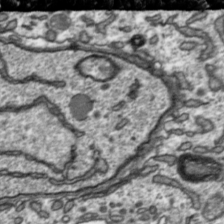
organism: Toxoplasma gondii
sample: Parasites in a vacuole inside a host cell